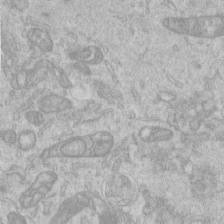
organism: Human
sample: Centriole in RPE cells